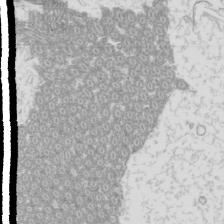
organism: Mouse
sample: Cilia; mouse epididymis